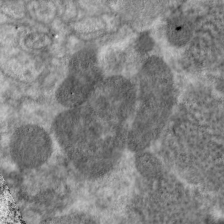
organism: C. elegans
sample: Pharynx